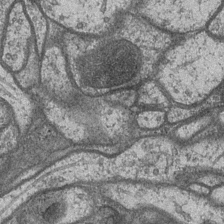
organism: Drosophila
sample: Optic medulla